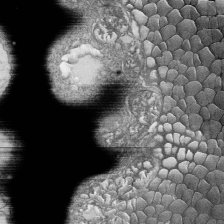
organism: Tetrahymena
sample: Cilia in tetrahymena